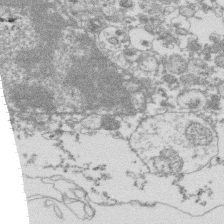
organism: Human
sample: HeLa cell HIV synapse